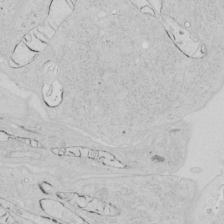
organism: Human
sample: Mitochondria in HCT116 cells